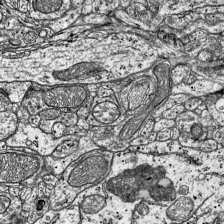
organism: Mouse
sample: Visual Cortex